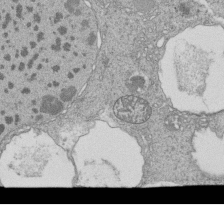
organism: Tetrahymena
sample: Cilia in tetrahymena